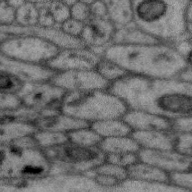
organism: Zebra finch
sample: Brain